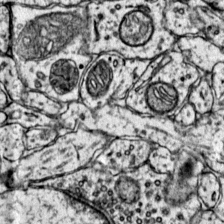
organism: Mouse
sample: Primary visual cortex